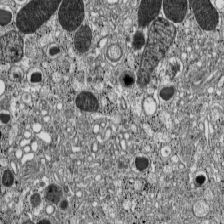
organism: C57BL Mouse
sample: Pancreatic islet